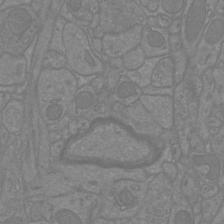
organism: Mouse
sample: Cortical neurons